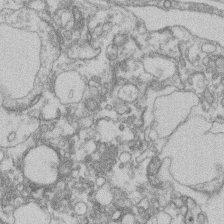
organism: Mouse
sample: T cell stromal cell synapse